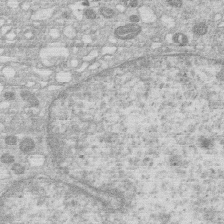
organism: Human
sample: Macrophage cells